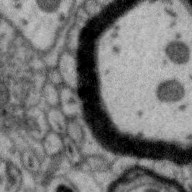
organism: Zebra finch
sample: Brain